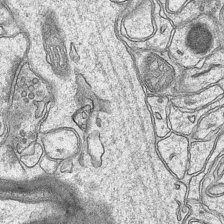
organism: Mouse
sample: CA1 Hippocampus